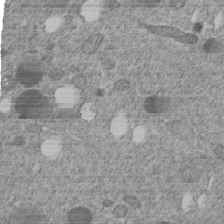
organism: C. elegans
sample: C. elegans embryo early stage